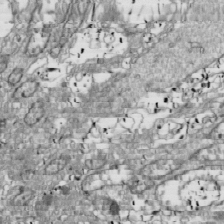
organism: Drosophila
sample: Cell division; meiosis; drosophila spermatocytes